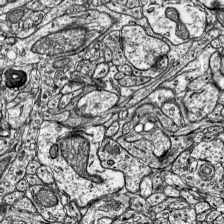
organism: Mouse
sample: Visual Cortex